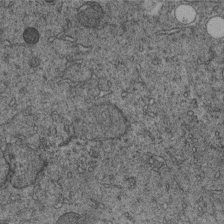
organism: C. elegans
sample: C. elegans embryo early stage